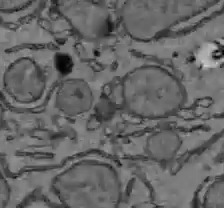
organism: C57BL Mouse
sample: Liver